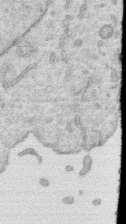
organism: Human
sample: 1205lu cells